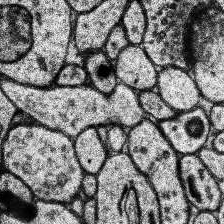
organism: Human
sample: Temporal Lobe